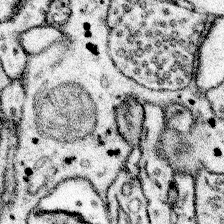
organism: Mouse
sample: Somatosensory cortex neuropil